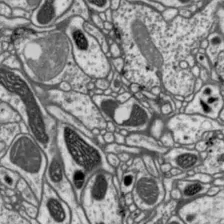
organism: Drosophila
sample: Protocerebral bridge